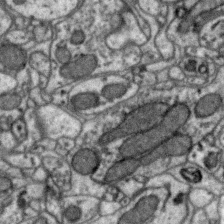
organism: Zebra finch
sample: Brain